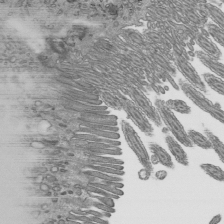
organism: Mouse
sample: Mouse epididymis efferent ductule cilia